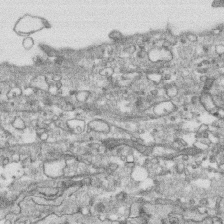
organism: Human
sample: CRL-1474